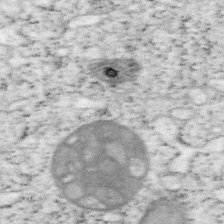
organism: Mouse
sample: OT-I killer T cells with ID8 ovarian cancer cells